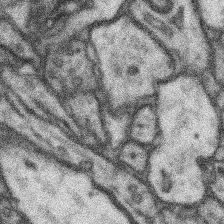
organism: Mouse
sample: Somatosensory cortex neuropil